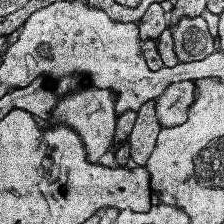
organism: Human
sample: Temporal Lobe